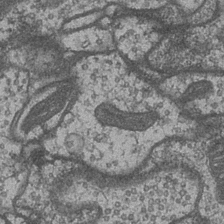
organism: Drosophila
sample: Optic medulla